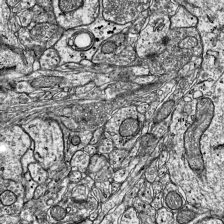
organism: Mouse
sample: Visual Cortex